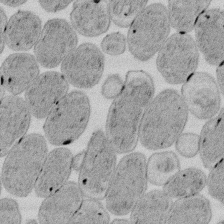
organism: E. coli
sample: Bacterial nucleoid